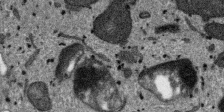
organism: Human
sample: Lung epithelial cells, uninfected (mock) control